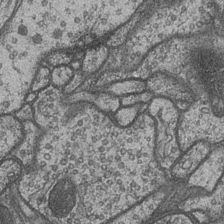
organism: Drosophila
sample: Optic medulla